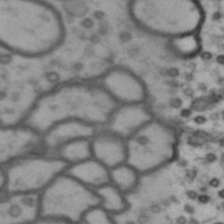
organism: Drosophila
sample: Brain